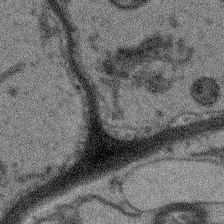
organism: Arabidopsis thaliana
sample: Root tip